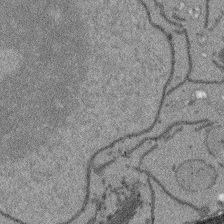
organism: Arabidopsis thaliana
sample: Root tip